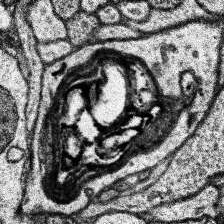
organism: Human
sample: Temporal Lobe